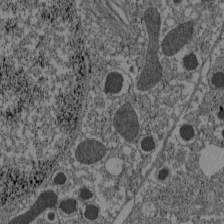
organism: C57BL Mouse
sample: Pancreatic islet